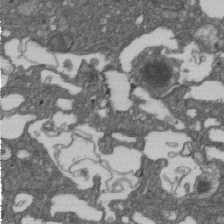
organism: Drosophila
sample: Nephrocyte